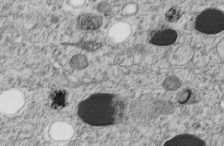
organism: C. elegans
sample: C. elegans embryo early stage